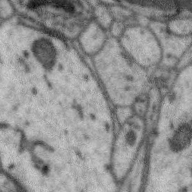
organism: Zebra finch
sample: Brain